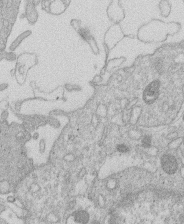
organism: Human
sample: Macrophage cells